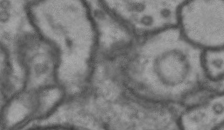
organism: Drosophila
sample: Brain